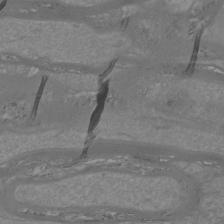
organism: Mouse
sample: Cortical neurons